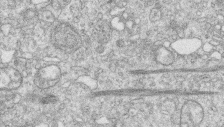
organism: Human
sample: HeLa cell HIV synapse